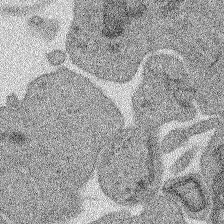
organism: Human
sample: HeLa cells